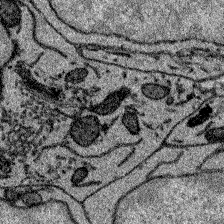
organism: Zebrafish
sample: Larval olfactory bulb